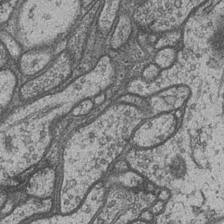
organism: Drosophila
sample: Optic medulla